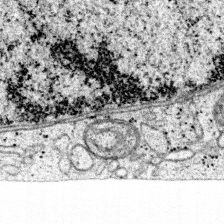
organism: Human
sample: HeLa cells